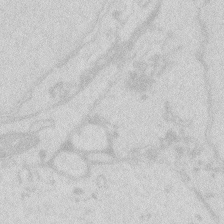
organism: Zebrafish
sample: Macrophage